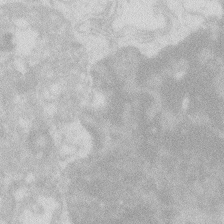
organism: Zebrafish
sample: Macrophage